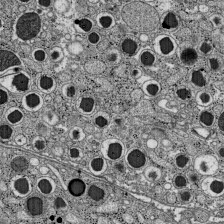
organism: C57BL Mouse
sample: Pancreatic islet